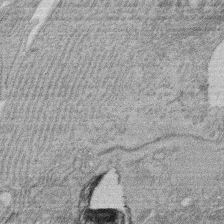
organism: Rat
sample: Salivary granule